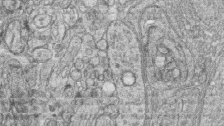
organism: Zebrafish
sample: synaptic ribbons in rod cells and cone cells